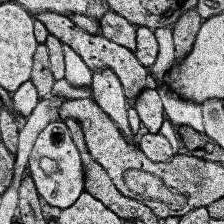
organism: Human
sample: Temporal Lobe